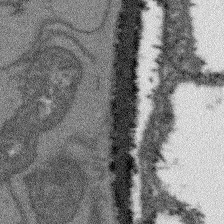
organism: Arabidopsis thaliana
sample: Root tip